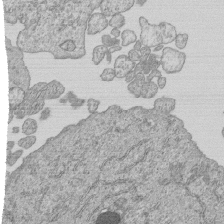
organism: Human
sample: MDA-MB-231 cells